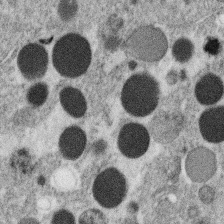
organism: C. elegans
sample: C. elegans oocyte; sperm cells